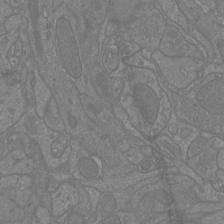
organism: Mouse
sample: Cortical neurons